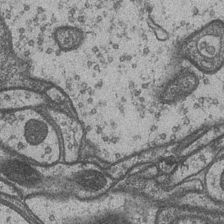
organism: Drosophila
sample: Optic medulla